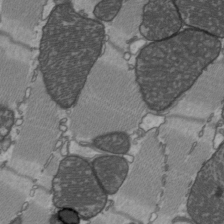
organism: C57BL Mouse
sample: Heart